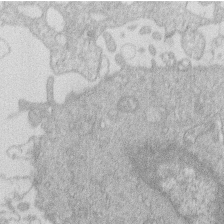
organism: Human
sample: Macrophage cells